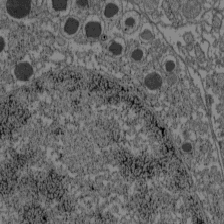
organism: C57BL Mouse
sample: Pancreatic islet